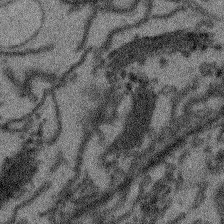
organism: Arabidopsis thaliana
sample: Root tip